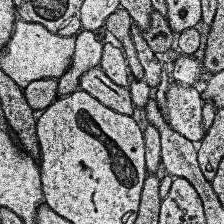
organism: Human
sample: Temporal Lobe